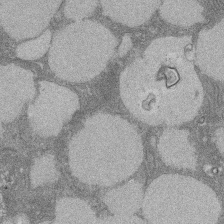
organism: Rat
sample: Salivary granule